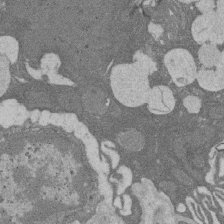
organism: Rat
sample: Salivary granule